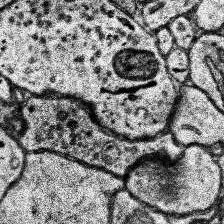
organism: Human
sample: Temporal Lobe